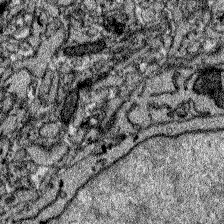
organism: Zebrafish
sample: Larval olfactory bulb